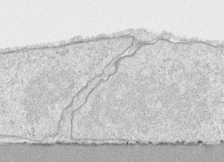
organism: Human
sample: CRL-1474